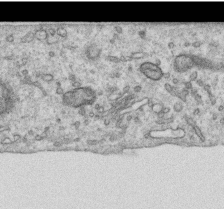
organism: Human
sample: Centriole in RPE cells